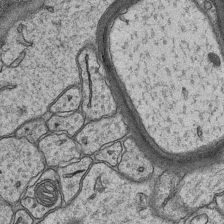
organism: Mouse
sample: CA1 Hippocampus